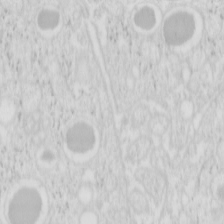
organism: Mouse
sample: Pancreas